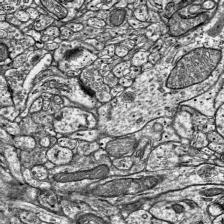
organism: Mouse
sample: Visual Cortex